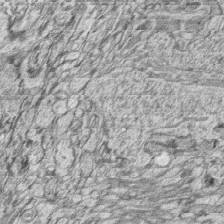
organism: Zebrafish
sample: synaptic ribbons in rod cells and cone cells